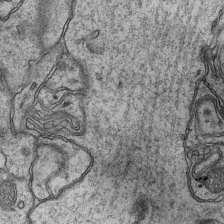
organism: Mouse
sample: CA1 Hippocampus